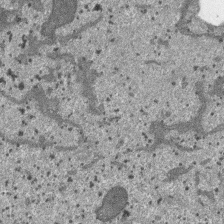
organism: Human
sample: Lung epithelial cells infected with SARS-CoV-2